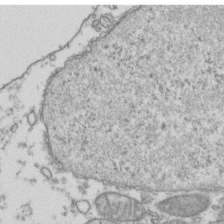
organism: Human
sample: Activated Jurkat CD4+ T cells